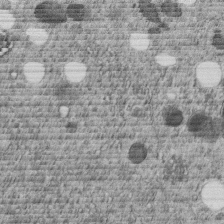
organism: C. elegans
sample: C. elegans embryo early stage